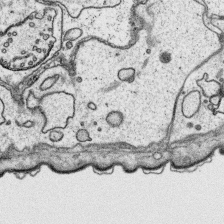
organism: Platynereis dumerilii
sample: Parapodia